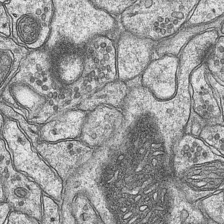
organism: Mouse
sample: CA1 Hippocampus